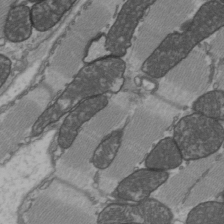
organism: C57BL Mouse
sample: Heart